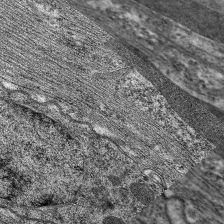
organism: C. elegans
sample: Pharynx